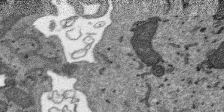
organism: Human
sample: Lung epithelial cells infected with SARS-CoV-2